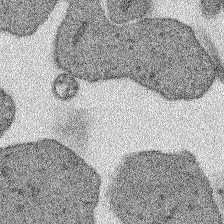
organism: Human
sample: HeLa cells